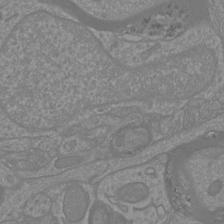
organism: Mouse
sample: Cortical neurons